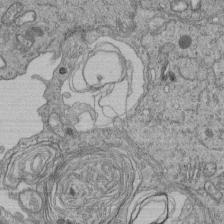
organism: Human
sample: Retinal organoid Rod and Cone cells